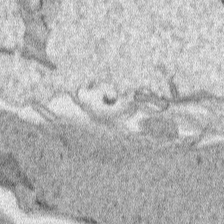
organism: Human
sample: Mitochondria in HCT116 cells